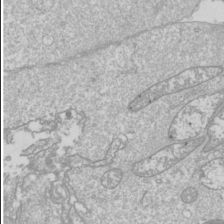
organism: Drosophila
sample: Cell division; meiosis; drosophila spermatocytes